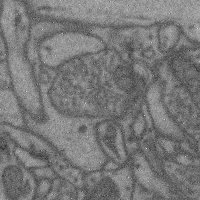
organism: Mouse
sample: Cerebral cortex